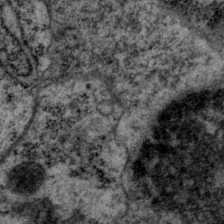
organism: P. pacificus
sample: Pharynx